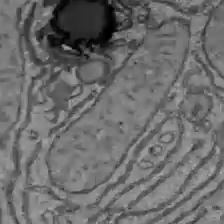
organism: C57BL Mouse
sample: Liver